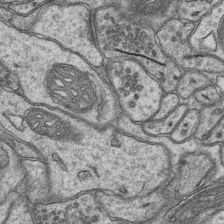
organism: Mouse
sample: CA1 Hippocampus